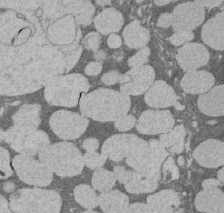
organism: Rat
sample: Salivary granule